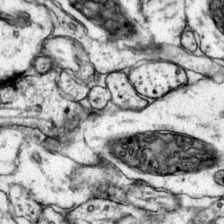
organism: Mouse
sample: Primary visual cortex